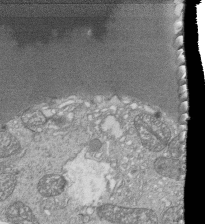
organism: Tetrahymena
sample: Cilia in tetrahymena